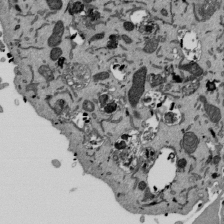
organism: Mouse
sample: ED-1 cell nuclei; centrioles